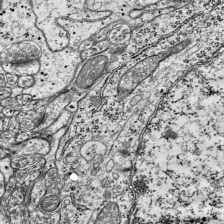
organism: Mouse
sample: Visual Cortex